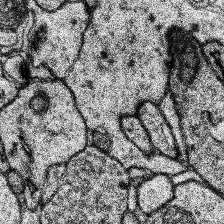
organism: Human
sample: Temporal Lobe